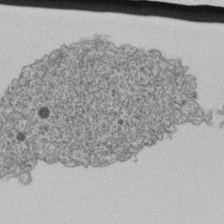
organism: Human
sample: Retinal organoid Rod and Cone cells